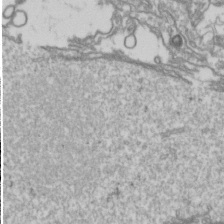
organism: Drosophila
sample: Cell division; meiosis; drosophila spermatocytes